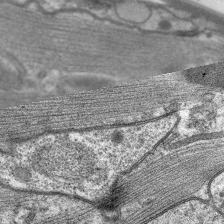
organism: C. elegans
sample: Pharynx